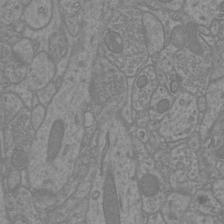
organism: Mouse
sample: Cortical neurons